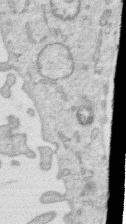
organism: Human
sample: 1205lu cells